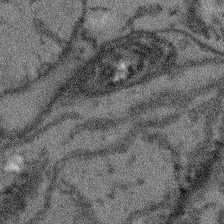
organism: Arabidopsis thaliana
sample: Root tip